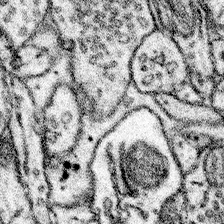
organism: Mouse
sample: Somatosensory cortex neuropil